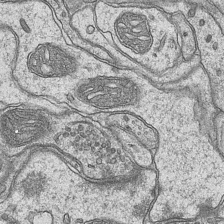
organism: Mouse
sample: CA1 Hippocampus